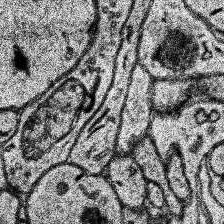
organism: Human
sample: Temporal Lobe